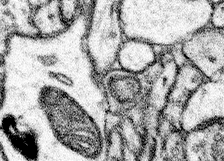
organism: Mouse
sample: Somatosensory cortex neuropil